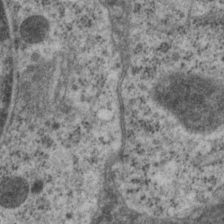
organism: P. pacificus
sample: Pharynx